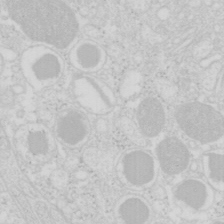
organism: Mouse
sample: Pancreas